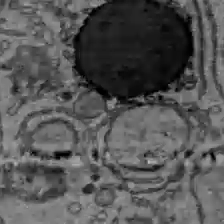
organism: C57BL Mouse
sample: Liver